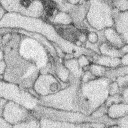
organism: Rabbit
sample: Retina